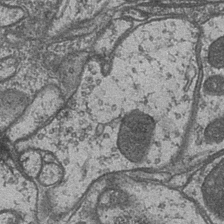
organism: Drosophila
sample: Optic medulla